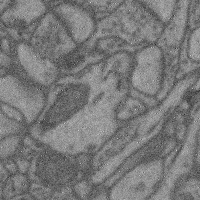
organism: Mouse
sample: Cerebral cortex